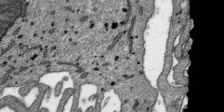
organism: Human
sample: Lung epithelial cells, uninfected (mock) control